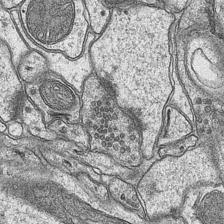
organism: Mouse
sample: CA1 Hippocampus